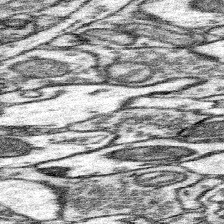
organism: Mouse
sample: Somatosensory cortex neuropil